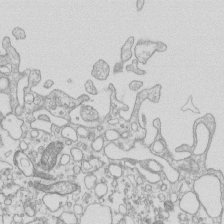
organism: Mouse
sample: Macrophages